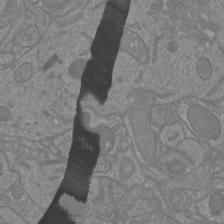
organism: Mouse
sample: Cortical neurons